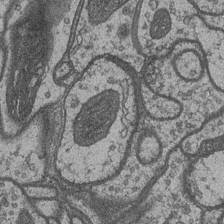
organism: Drosophila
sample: Optic medulla